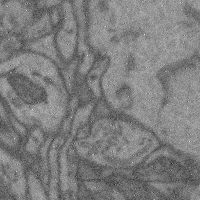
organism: Mouse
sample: Cerebral cortex